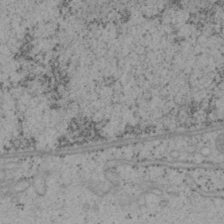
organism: Human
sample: HeLa cells